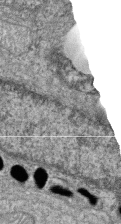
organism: Zebrafish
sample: Cilia; retinal pigment epithelium